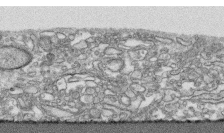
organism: Human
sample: CRL-1474